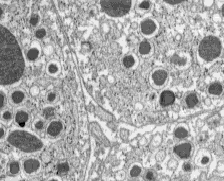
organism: C57BL Mouse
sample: Pancreatic islet